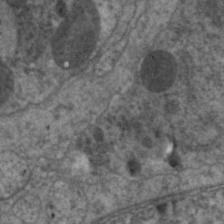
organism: C. elegans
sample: Pharynx